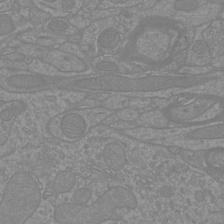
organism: Mouse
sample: Cortical neurons